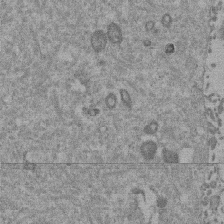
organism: Mouse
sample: Dividing mouse embryo 1 cell stage